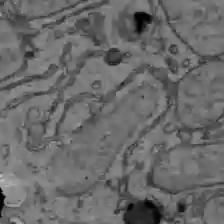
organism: C57BL Mouse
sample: Liver